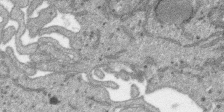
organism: Human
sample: Lung epithelial cells infected with SARS-CoV-2